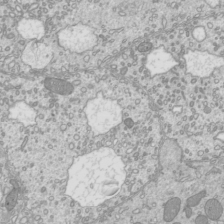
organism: Mouse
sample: Cilia; mouse epididymis